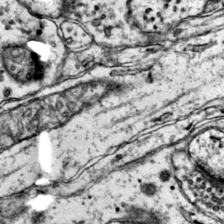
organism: Mouse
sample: Primary visual cortex